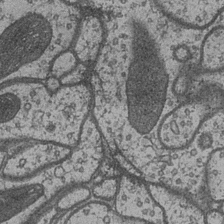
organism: Drosophila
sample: Optic medulla